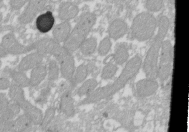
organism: Xenopus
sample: Cilia; centrioles in frog embryo cells